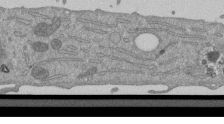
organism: Mouse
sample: ED-1 cell nuclei; centrioles